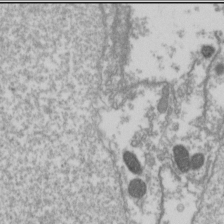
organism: Drosophila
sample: Cell division; meiosis; drosophila spermatocytes